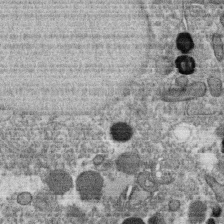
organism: C. elegans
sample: C. elegans oocyte; sperm cells